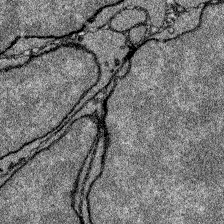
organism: Zebrafish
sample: Larval olfactory bulb